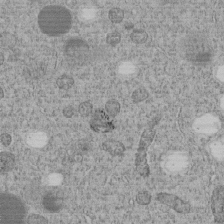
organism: C. elegans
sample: C. elegans embryo early stage